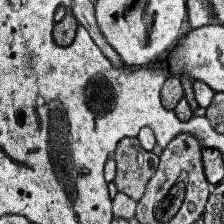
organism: Human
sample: Temporal Lobe